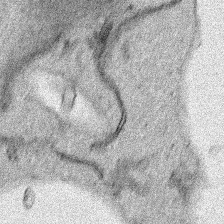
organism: Human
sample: Mitochondria in HCT116 cells